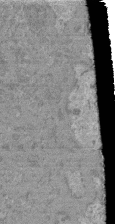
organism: Mouse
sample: Glomerulus